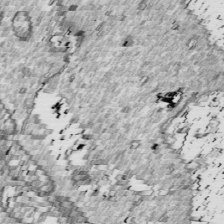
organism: Drosophila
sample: Cell division; meiosis; drosophila spermatocytes